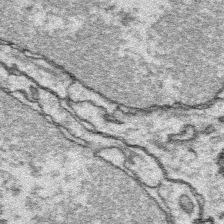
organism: Platynereis dumerilii